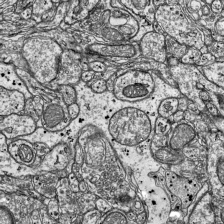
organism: Mouse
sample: Visual Cortex